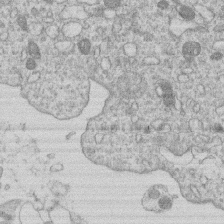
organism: Human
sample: Macrophage cells